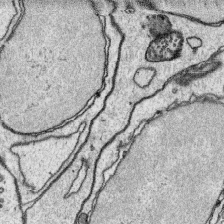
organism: Platynereis dumerilii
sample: Parapodia